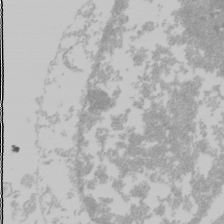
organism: Mouse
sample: Cancer cell death in ED-1 cells